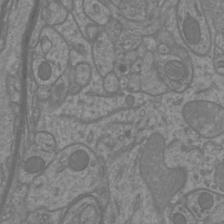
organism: Mouse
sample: Cortical neurons